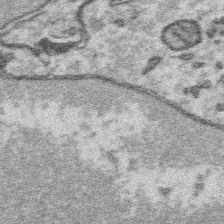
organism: Platynereis dumerilii